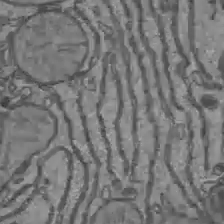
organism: C57BL Mouse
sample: Liver